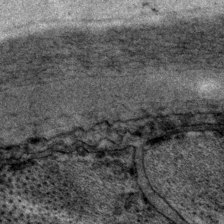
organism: P. pacificus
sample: Pharynx